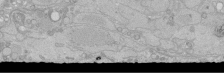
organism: Human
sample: Caco-2 cells